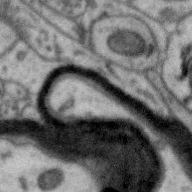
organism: Zebra finch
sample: Brain